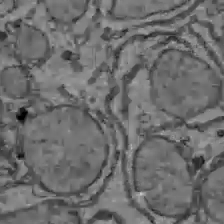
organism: C57BL Mouse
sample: Liver